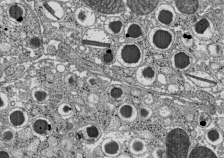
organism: C57BL Mouse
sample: Pancreatic islet